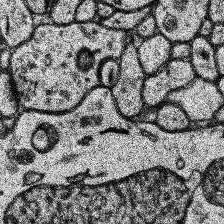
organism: Human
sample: Temporal Lobe